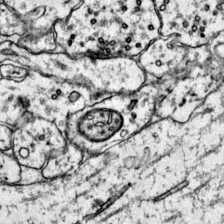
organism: Mouse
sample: Primary visual cortex